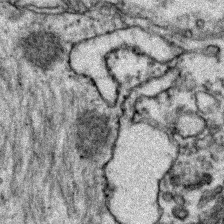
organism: Zebrafish